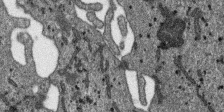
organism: Human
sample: Lung epithelial cells infected with SARS-CoV-2